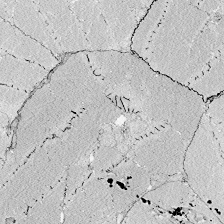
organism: Zebrafish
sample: Whole-Brain